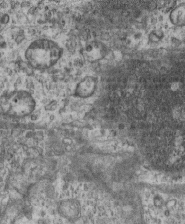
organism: Mouse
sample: Centriole in ependymal cells